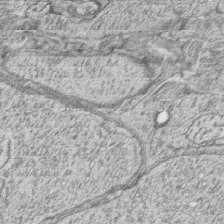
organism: Zebrafish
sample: synaptic ribbons in rod cells and cone cells